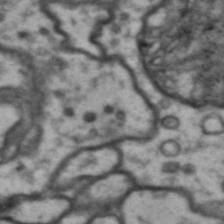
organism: Drosophila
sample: Brain